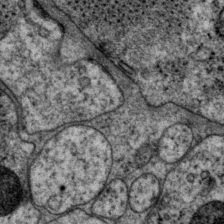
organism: P. pacificus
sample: Pharynx